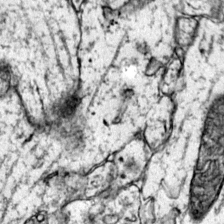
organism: Mouse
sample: Primary visual cortex